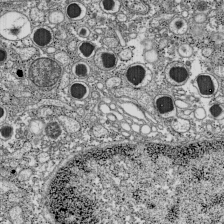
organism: C57BL Mouse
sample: Pancreatic islet